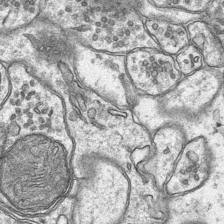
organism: Mouse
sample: CA1 Hippocampus